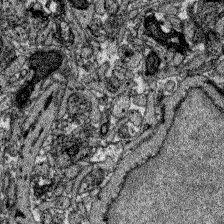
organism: Zebrafish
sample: Larval olfactory bulb